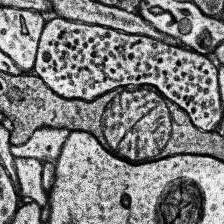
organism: Human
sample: Temporal Lobe